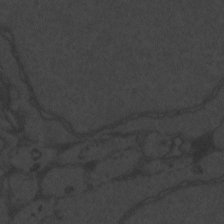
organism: Zebrafish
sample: Macrophage infected with Toxoplasma gondii